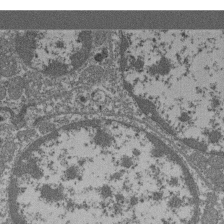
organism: Mouse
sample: Glomerulus